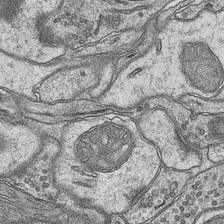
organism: Mouse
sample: CA1 Hippocampus